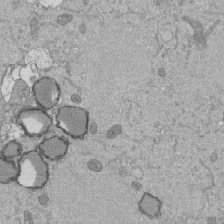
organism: Mouse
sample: ED-1 cell nuclei; centrioles